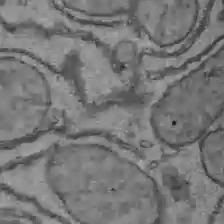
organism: C57BL Mouse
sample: Liver